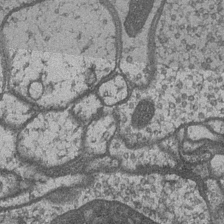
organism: Drosophila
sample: Optic medulla